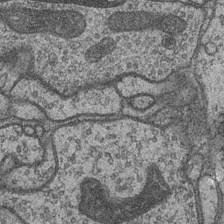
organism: Drosophila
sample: Optic medulla